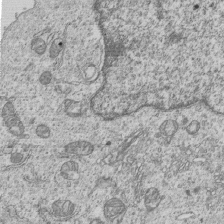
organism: Human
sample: MDA-MB-231 cells